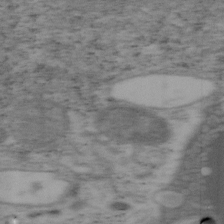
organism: Mouse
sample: OT-I killer T cells with ID8 ovarian cancer cells